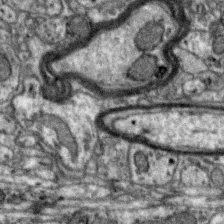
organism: Zebra finch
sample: Brain